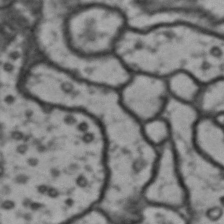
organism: Drosophila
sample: Brain